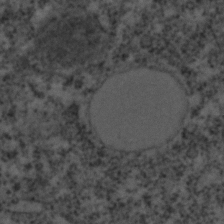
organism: C. elegans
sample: C. elegans embryo